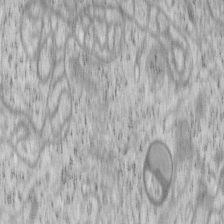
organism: Human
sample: HeLa cells